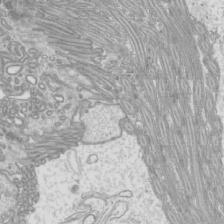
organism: Mouse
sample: Cilia; mouse epididymis